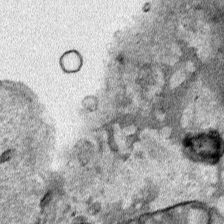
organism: Human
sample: Mitochondria in HCT116 cells